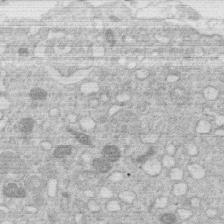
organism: Human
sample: Macrophage cells